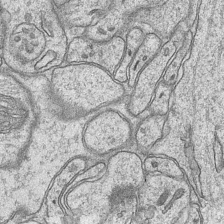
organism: Mouse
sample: CA1 Hippocampus